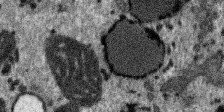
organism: Human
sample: Lung epithelial cells infected with SARS-CoV-2